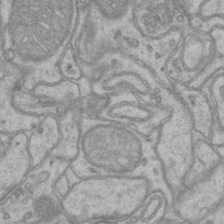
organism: Mouse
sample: CA1 Hippocampus